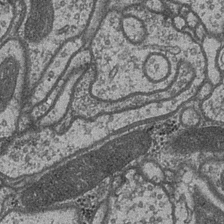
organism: Drosophila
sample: Optic medulla